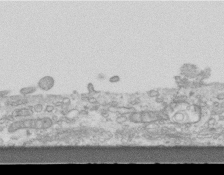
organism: Mouse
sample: Centriole in ependymal cells